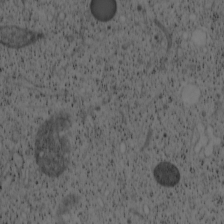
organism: African green monkey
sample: COS-7 cells